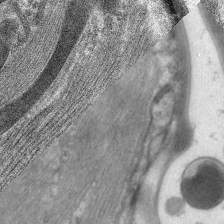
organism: C. elegans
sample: Pharynx